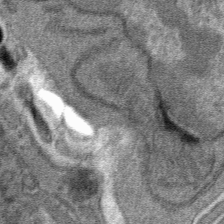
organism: Mouse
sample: Mouse hepatocytes